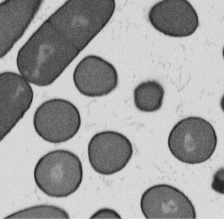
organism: B. subtilis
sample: Bacterial spore